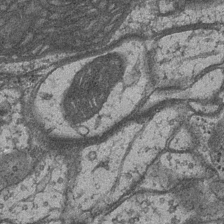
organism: Drosophila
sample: Optic medulla